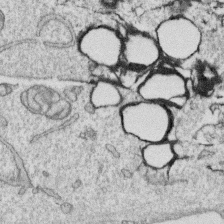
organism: Human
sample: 1205lu cells